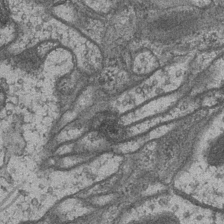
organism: Drosophila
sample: Optic medulla